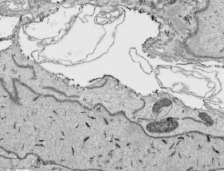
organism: Human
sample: Mitochondria in HCT116 cells